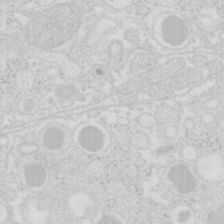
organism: Mouse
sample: Pancreas